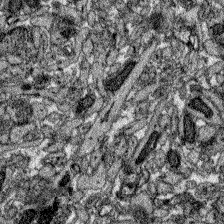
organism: Zebrafish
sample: Larval olfactory bulb